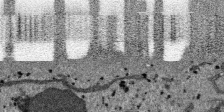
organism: Human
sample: Lung epithelial cells, uninfected (mock) control